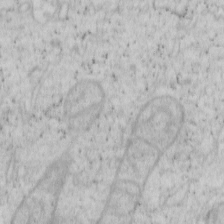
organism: Human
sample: HeLa cells